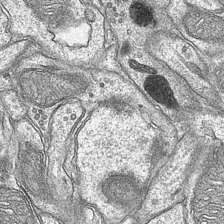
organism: Mouse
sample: CA1 Hippocampus